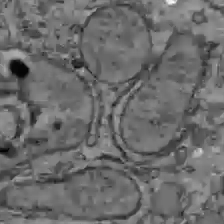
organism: C57BL Mouse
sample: Liver